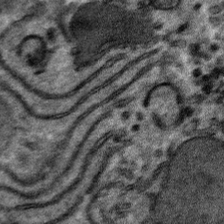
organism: Mouse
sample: Mouse hepatocytes